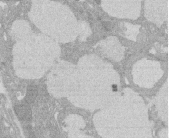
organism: Rat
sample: Salivary granule